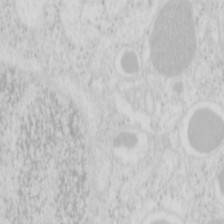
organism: Mouse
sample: Pancreas